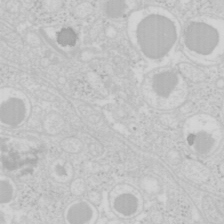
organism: Mouse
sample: Pancreas